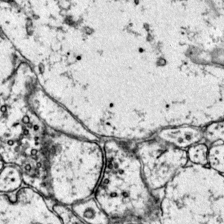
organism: Mouse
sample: Primary visual cortex